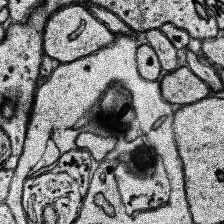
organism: Human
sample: Temporal Lobe